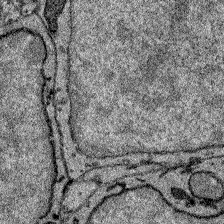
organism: Zebrafish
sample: Larval olfactory bulb